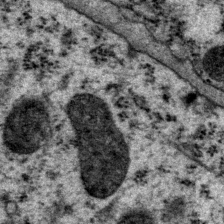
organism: P. pacificus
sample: Pharynx